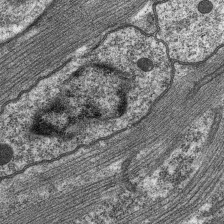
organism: C. elegans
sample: Pharynx